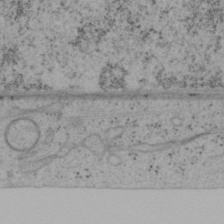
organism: Human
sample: HeLa cells